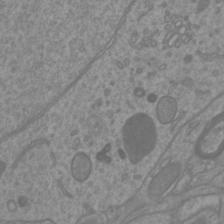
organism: Mouse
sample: Cortical neurons